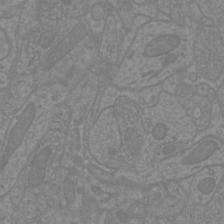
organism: Mouse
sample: Cortical neurons